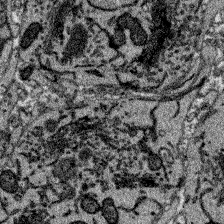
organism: Zebrafish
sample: Larval olfactory bulb